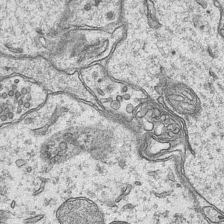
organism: Mouse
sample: CA1 Hippocampus